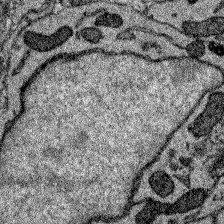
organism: Zebrafish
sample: Larval olfactory bulb